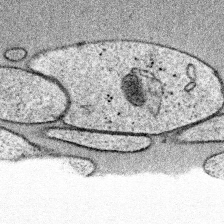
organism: Human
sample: HeLa cells